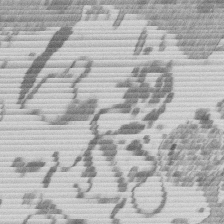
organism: Mouse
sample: Dividing mouse embryo 1 cell stage